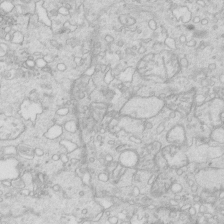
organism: Mouse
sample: Multiciliated cells